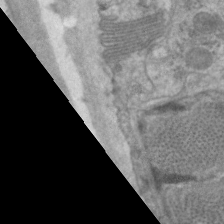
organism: C. elegans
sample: Pharynx